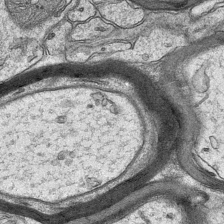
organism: Mouse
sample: CA1 Hippocampus